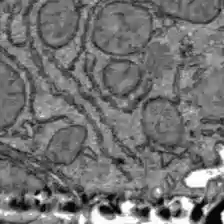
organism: C57BL Mouse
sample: Liver